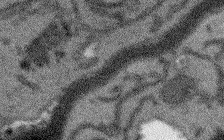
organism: Arabidopsis thaliana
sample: Root tip